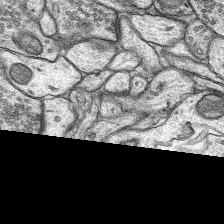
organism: Rat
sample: Hippocampus